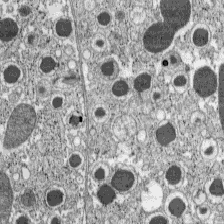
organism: C57BL Mouse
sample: Pancreatic islet